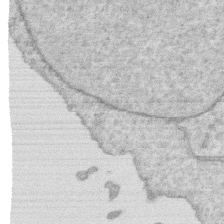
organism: Human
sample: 1205lu cells